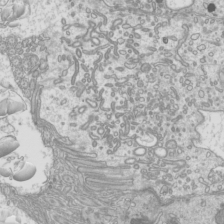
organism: Mouse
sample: Cilia; mouse epididymis